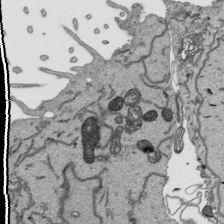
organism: Human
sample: Mitochondria in HCT116 cells